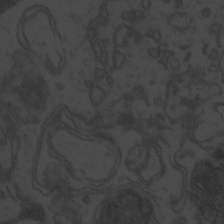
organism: Zebrafish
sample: Macrophage infected with Toxoplasma gondii